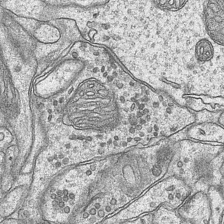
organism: Mouse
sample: CA1 Hippocampus